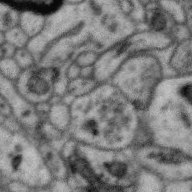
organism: Zebra finch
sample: Brain